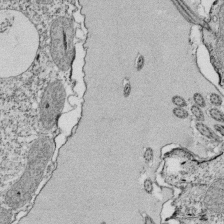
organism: Tetrahymena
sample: Cilia in tetrahymena